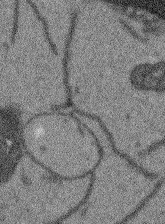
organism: Arabidopsis thaliana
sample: Root tip